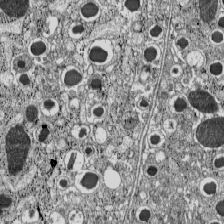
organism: C57BL Mouse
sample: Pancreatic islet